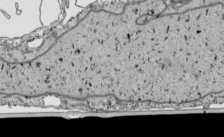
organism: Human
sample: Mitochondria in HCT116 cells